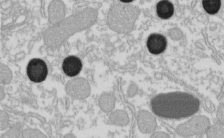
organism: Xenopus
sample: Cilia; centrioles in frog embryo cells